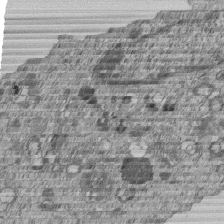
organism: Human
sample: MDA-MB-231 cells